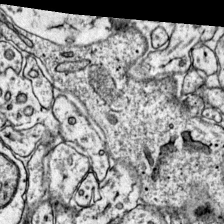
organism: Mouse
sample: Primary visual cortex